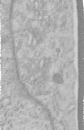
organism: Human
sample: Centriole in RPE cells